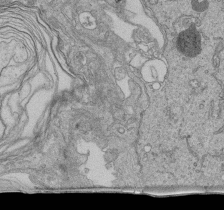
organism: Human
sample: Retinal organoid Rod and Cone cells